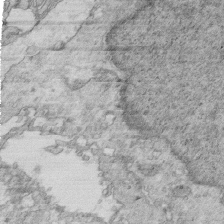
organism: Mouse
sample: Multiciliated cells